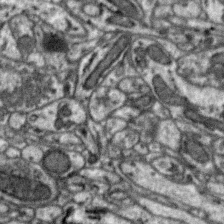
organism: Zebra finch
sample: Brain